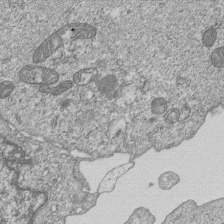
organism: Human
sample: MDA-MB-231 cells